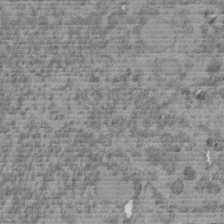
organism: C. elegans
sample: C. elegans embryo early stage